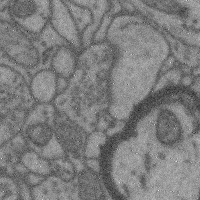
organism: Mouse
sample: Cerebral cortex